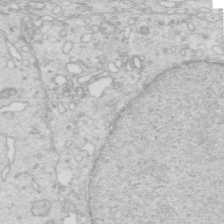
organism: Mouse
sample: Multiciliated cells